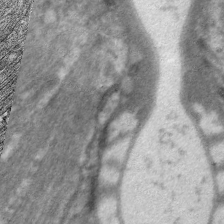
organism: C. elegans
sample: Pharynx